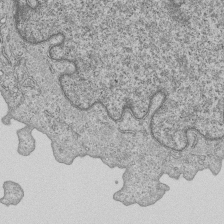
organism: Human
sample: MDA-MB-231 cells